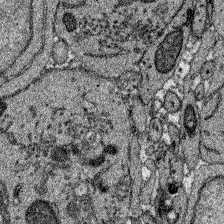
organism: Zebrafish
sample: Larval olfactory bulb